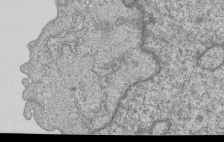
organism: Human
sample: MDA-MB-231 cells